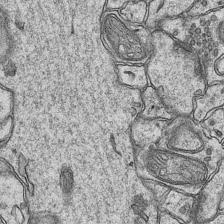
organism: Mouse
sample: CA1 Hippocampus